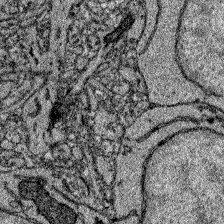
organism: Zebrafish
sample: Larval olfactory bulb